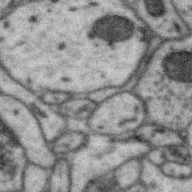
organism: Zebra finch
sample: Brain